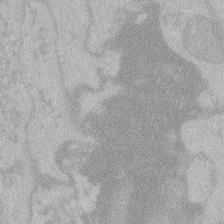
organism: Zebrafish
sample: Macrophage infected with Toxoplasma gondii